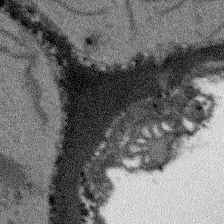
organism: Arabidopsis thaliana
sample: Root tip